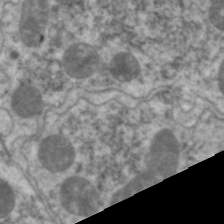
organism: C. elegans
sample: Pharynx